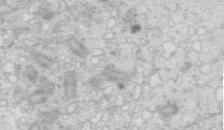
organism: Mouse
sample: Multiciliated cells